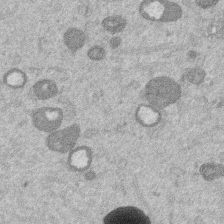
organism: Mouse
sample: Dividing mouse embryo 1 cell stage